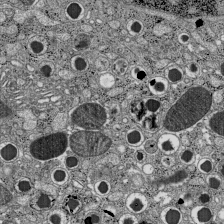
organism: C57BL Mouse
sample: Pancreatic islet